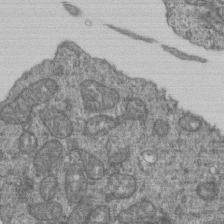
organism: Human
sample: Retinal organoid Rod and Cone cells